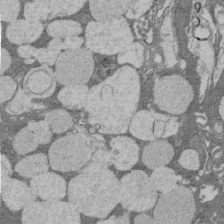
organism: Rat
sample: Salivary granule